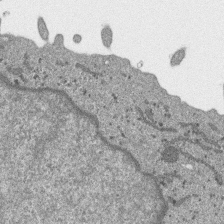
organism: Human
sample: Lung epithelial cells infected with SARS-CoV-2